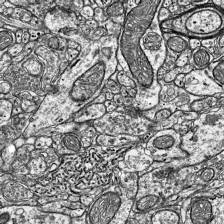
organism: Mouse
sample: Visual Cortex